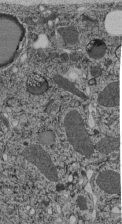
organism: C. elegans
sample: C. elegans pharynx